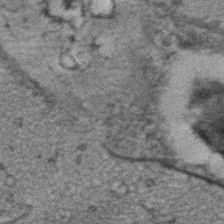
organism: C. elegans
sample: C. elegans embryo